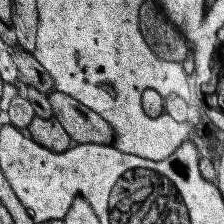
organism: Human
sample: Temporal Lobe